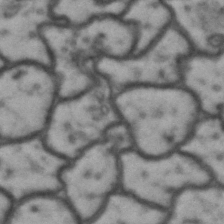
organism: Drosophila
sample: Brain